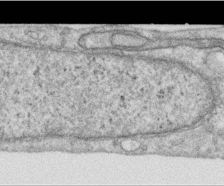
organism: Human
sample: Centriole in RPE cells